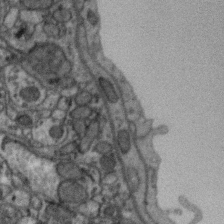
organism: Zebra finch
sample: Brain